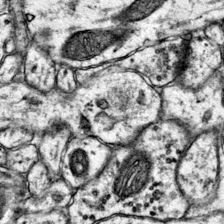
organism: Mouse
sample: Primary visual cortex